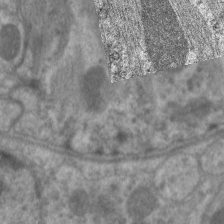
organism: C. elegans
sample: Pharynx